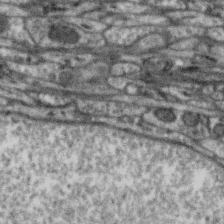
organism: Zebra finch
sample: Brain